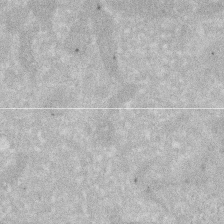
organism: Human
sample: HIV infected U937 cells